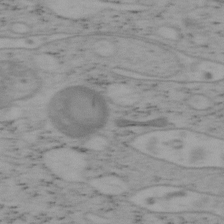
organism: Mouse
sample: OT-I killer T cells with ID8 ovarian cancer cells